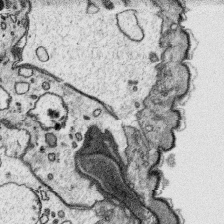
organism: Platynereis dumerilii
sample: Parapodia